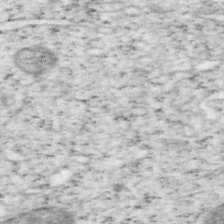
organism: Mouse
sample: OT-I killer T cells with ID8 ovarian cancer cells